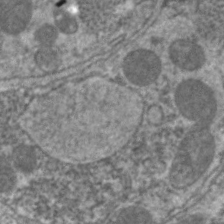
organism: C. elegans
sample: Pharynx